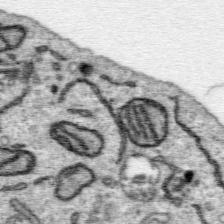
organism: Human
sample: HeLa cells